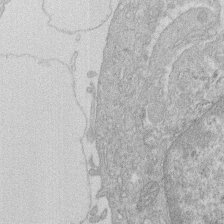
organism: Human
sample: Macrophage cells